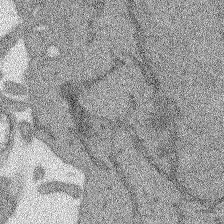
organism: Human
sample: HeLa cells